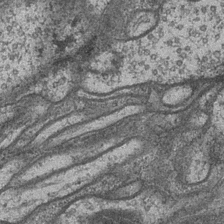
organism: Drosophila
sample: Optic medulla